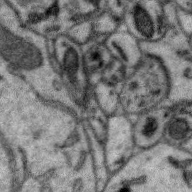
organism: Zebra finch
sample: Brain